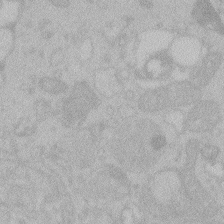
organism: Zebrafish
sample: Macrophage infected with Toxoplasma gondii